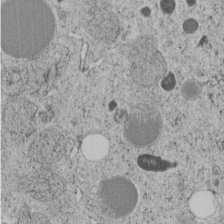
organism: C. elegans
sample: C. elegans embryo early stage